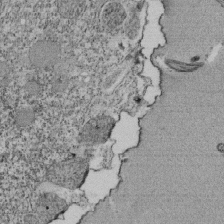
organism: Tetrahymena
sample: Cilia in tetrahymena